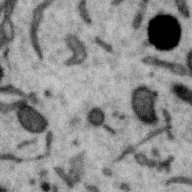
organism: Zebra finch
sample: Brain